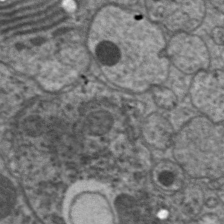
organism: C. elegans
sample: Pharynx